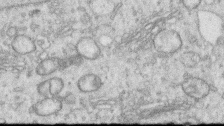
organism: Human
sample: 1205lu cells